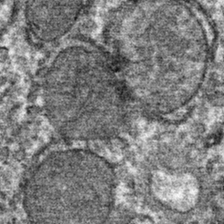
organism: Mouse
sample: Mouse hepatocytes